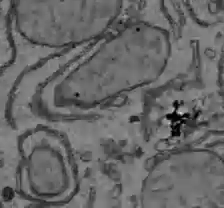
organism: C57BL Mouse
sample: Liver